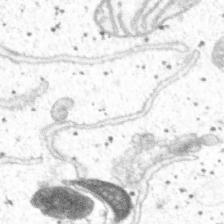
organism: Human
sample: HeLa cells